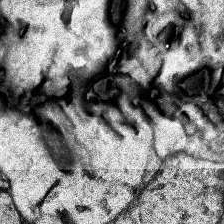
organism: Human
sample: Temporal Lobe